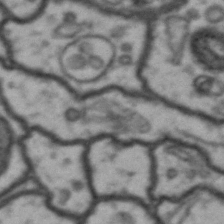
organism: Drosophila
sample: Brain